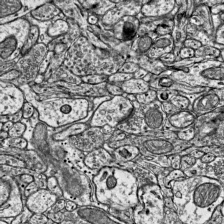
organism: Mouse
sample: Visual Cortex